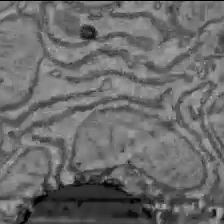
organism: C57BL Mouse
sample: Liver